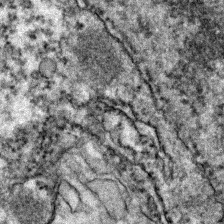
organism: Zebrafish